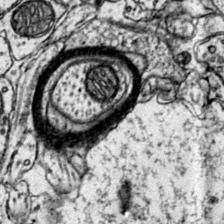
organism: Mouse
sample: Primary visual cortex